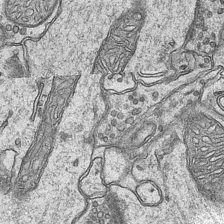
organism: Mouse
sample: CA1 Hippocampus